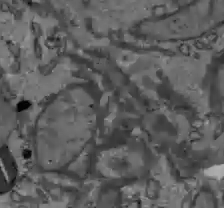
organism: C57BL Mouse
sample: Liver